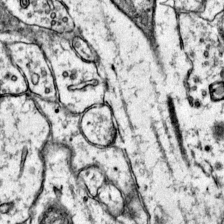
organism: Mouse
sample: Primary visual cortex